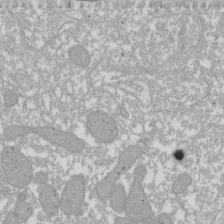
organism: Xenopus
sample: Cilia; centrioles in frog embryo cells